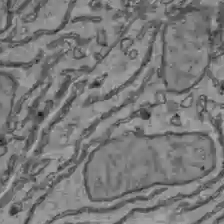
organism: C57BL Mouse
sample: Liver